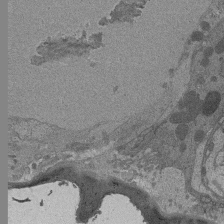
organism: Drosophila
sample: Antenna